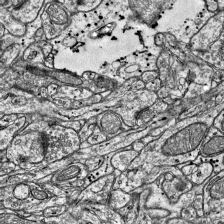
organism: Mouse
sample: Visual Cortex